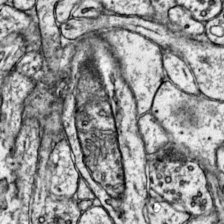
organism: Mouse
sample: Primary visual cortex